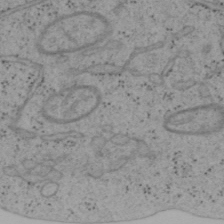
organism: Human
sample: HeLa cells